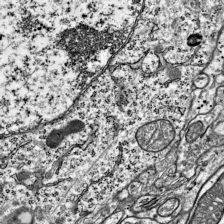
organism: Mouse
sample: Visual Cortex